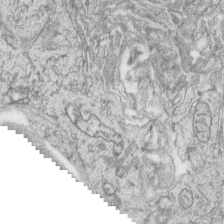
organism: Zebrafish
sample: synaptic ribbons in rod cells and cone cells